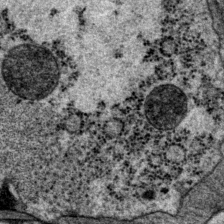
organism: P. pacificus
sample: Pharynx